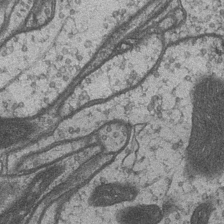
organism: Drosophila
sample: Optic medulla